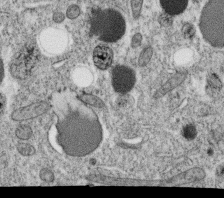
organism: C. elegans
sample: C. elegans oocyte; sperm cells